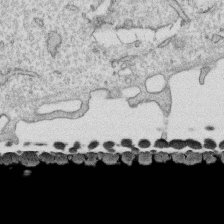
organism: Human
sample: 1205lu cells